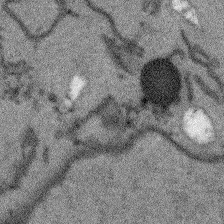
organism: Arabidopsis thaliana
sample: Root tip